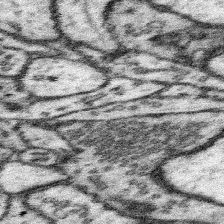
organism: Mouse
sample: Somatosensory cortex neuropil